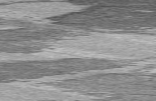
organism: C57BL Mouse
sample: Heart